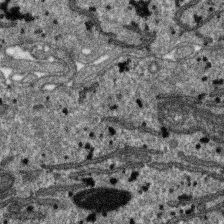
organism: Human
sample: Lung epithelial cells infected with SARS-CoV-2